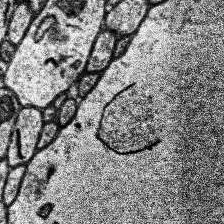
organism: Human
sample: Temporal Lobe